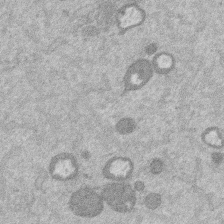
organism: Mouse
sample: Dividing mouse embryo 1 cell stage